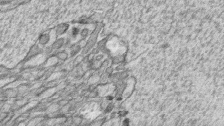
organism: Zebrafish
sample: synaptic ribbons in rod cells and cone cells